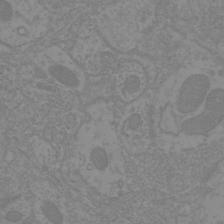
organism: Mouse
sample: Cortical neurons